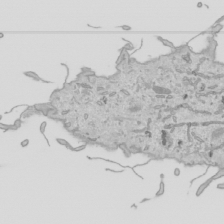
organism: Human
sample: Mitochondria in HCT116 cells